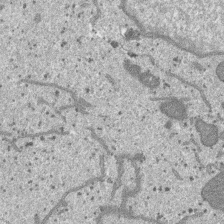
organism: Human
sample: Lung epithelial cells infected with SARS-CoV-2